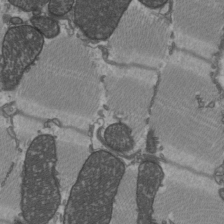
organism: C57BL Mouse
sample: Heart